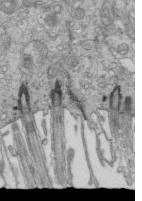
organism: Mouse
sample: Multiciliated cells